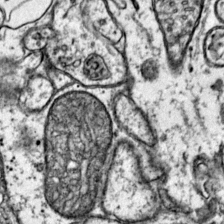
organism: Mouse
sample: Primary visual cortex